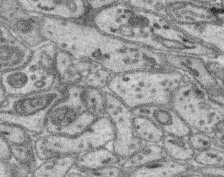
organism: Mouse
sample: Retina